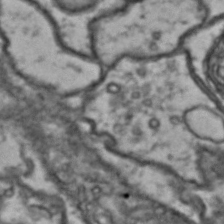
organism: Drosophila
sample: Brain